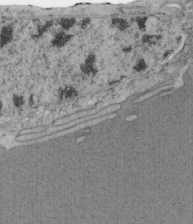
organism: Human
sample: HeLa cells